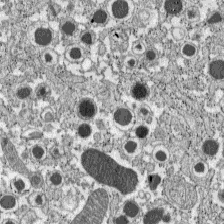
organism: C57BL Mouse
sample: Pancreatic islet